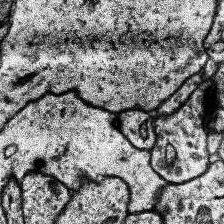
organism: Human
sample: Temporal Lobe